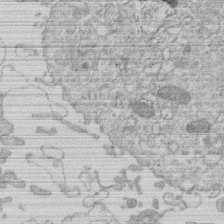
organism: Human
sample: Macrophage cells